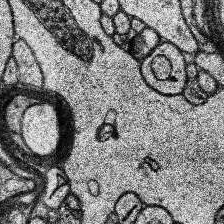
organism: Human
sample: Temporal Lobe